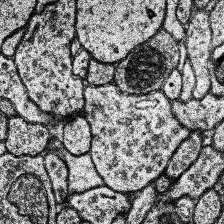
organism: Human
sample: Temporal Lobe